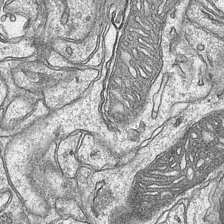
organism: Mouse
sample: CA1 Hippocampus